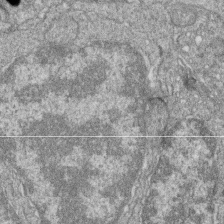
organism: Zebrafish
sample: Cilia; retinal pigment epithelium